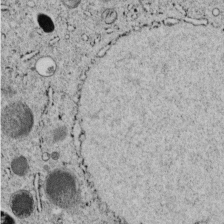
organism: C. elegans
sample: C. elegans embryo early stage